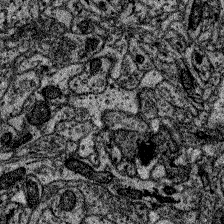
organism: Zebrafish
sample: Larval olfactory bulb